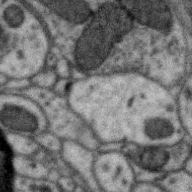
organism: Zebra finch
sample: Brain